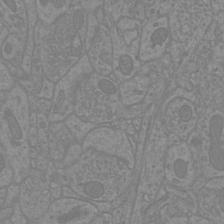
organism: Mouse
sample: Cortical neurons